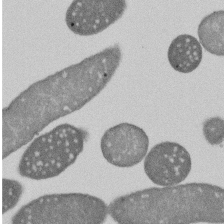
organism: E. coli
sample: Bacterial nucleoid